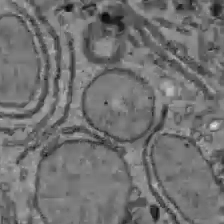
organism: C57BL Mouse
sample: Liver